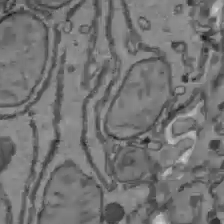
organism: C57BL Mouse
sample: Liver